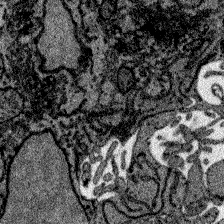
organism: Zebrafish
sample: Larval olfactory bulb